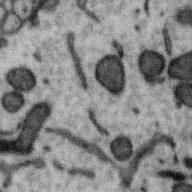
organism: Zebra finch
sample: Brain